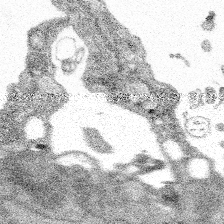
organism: Spongilla lacustris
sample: Multiple